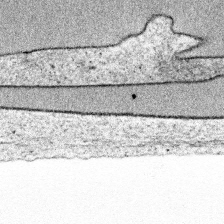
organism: Human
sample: HeLa cells